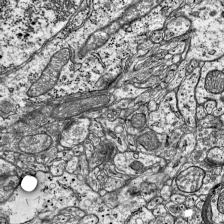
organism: Mouse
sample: Visual Cortex